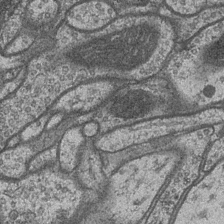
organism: Drosophila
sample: Optic medulla